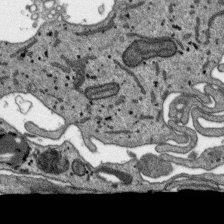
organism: Human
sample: Lung epithelial cells, uninfected (mock) control